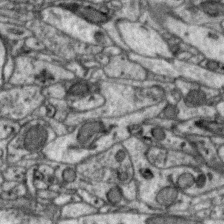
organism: Zebra finch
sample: Brain